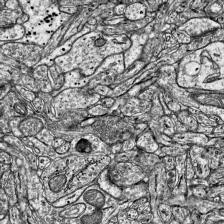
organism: Mouse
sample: Visual Cortex